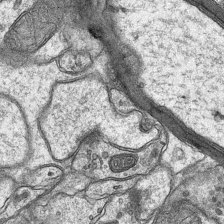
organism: Mouse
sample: CA1 Hippocampus